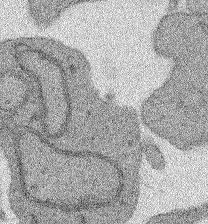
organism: Human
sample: HeLa cells